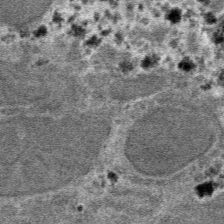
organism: Mouse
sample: Mouse hepatocytes